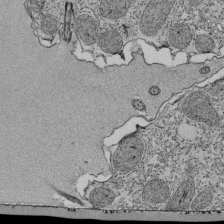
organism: Tetrahymena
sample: Cilia in tetrahymena